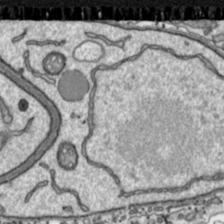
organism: Toxoplasma gondii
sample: Parasites in a vacuole inside a host cell